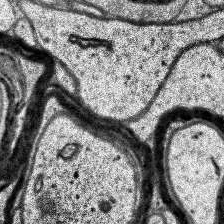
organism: Human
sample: Temporal Lobe